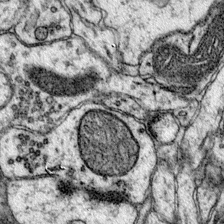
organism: Mouse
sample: Primary visual cortex